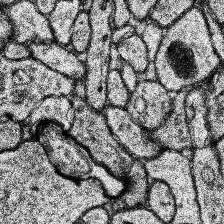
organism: Human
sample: Temporal Lobe